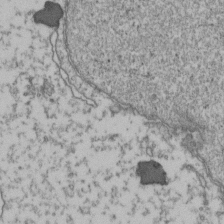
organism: Human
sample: Activated Jurkat CD4+ T cells